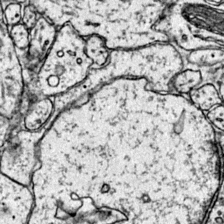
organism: Mouse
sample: Primary visual cortex